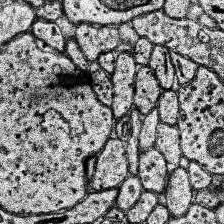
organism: Human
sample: Temporal Lobe